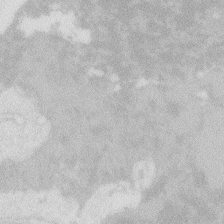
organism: Zebrafish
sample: Macrophage